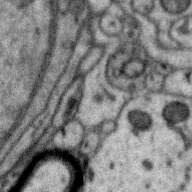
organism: Zebra finch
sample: Brain